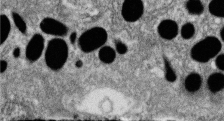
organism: Zebrafish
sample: Cilia; retinal pigment epithelium